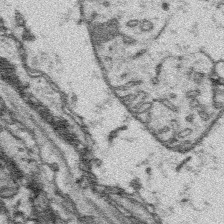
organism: Platynereis dumerilii